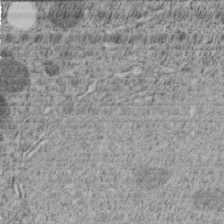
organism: C. elegans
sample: C. elegans embryo early stage